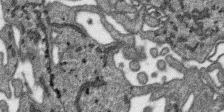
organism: Human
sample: Lung epithelial cells infected with SARS-CoV-2